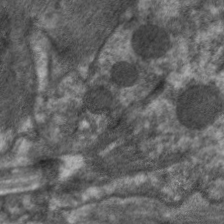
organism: C. elegans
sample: Pharynx